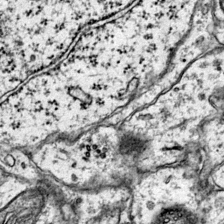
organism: Mouse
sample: Primary visual cortex